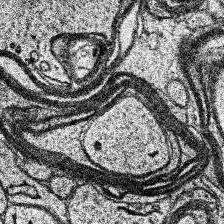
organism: Human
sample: Temporal Lobe